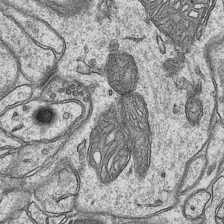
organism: Mouse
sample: CA1 Hippocampus